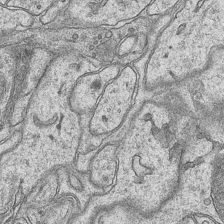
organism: Mouse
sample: CA1 Hippocampus